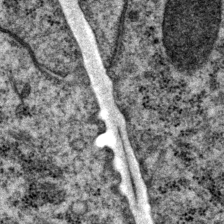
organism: P. pacificus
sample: Pharynx